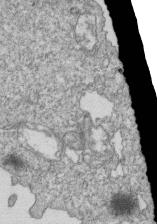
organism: Human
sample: HeLa cell HIV synapse